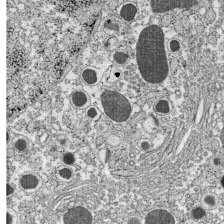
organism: C57BL Mouse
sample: Pancreatic islet